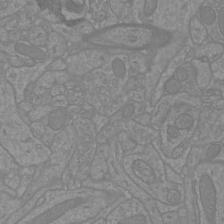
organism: Mouse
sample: Cortical neurons